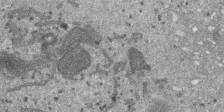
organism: Human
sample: Lung epithelial cells infected with SARS-CoV-2